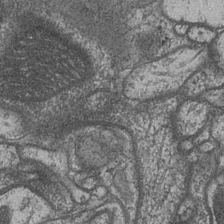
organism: Drosophila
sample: Optic medulla